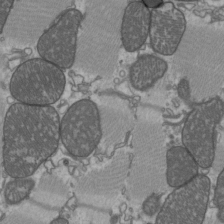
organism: C57BL Mouse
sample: Heart